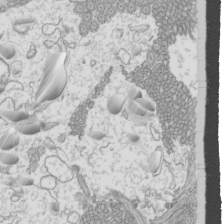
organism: Mouse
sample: Cilia; mouse epididymis